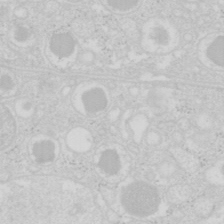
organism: Mouse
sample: Pancreas